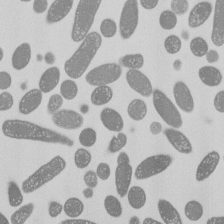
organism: E. coli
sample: Bacterial nucleoid